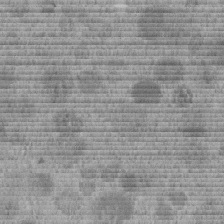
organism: C. elegans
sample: C. elegans embryo early stage